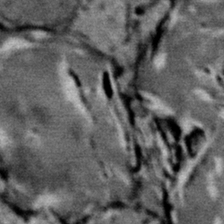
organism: Mouse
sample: Mouse Salivary gland